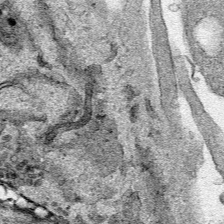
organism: Human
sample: Mitochondria in HCT116 cells